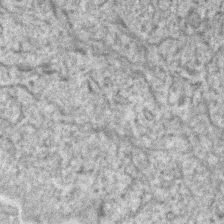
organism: Human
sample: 1205lu cells